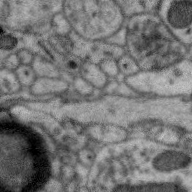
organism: Zebra finch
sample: Brain